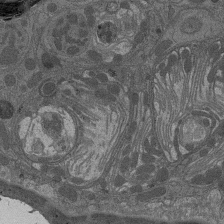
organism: Drosophila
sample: Antenna